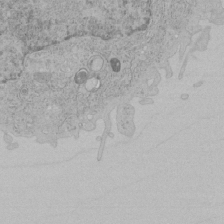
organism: Human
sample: Mitochondria in HCT116 cells